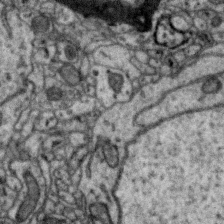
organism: Zebra finch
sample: Brain